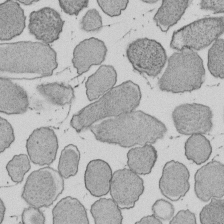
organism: E. coli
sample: Bacterial nucleoid